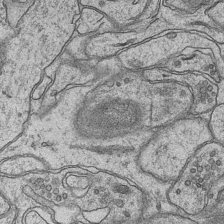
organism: Mouse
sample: CA1 Hippocampus